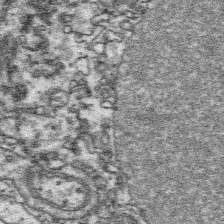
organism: Platynereis dumerilii